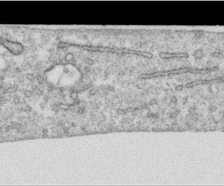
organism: Human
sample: Centriole in RPE cells